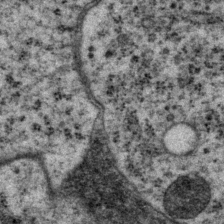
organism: P. pacificus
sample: Pharynx